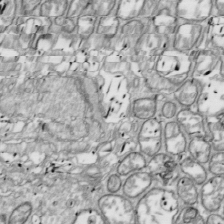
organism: Drosophila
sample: Cell division; meiosis; drosophila spermatocytes